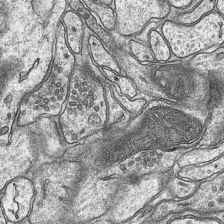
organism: Mouse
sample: CA1 Hippocampus